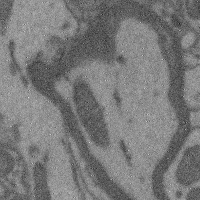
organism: Mouse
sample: Cerebral cortex